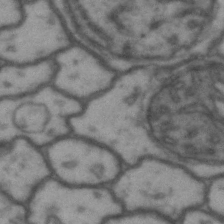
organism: Drosophila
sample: Brain